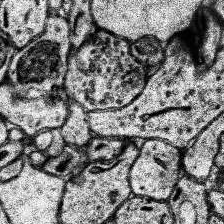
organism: Human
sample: Temporal Lobe